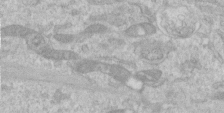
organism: Human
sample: Centriole in RPE cells